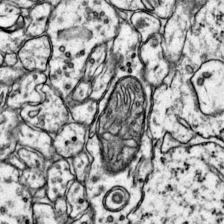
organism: Mouse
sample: Primary visual cortex